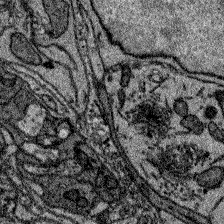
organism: Zebrafish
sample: Larval olfactory bulb